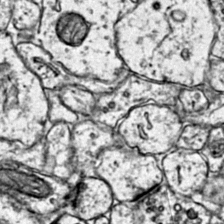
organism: Mouse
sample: Primary visual cortex